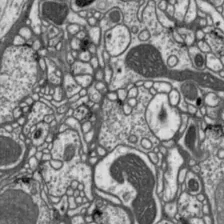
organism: Drosophila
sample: Protocerebral bridge